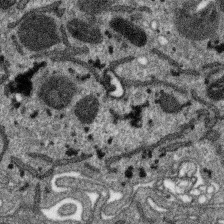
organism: Human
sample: Lung epithelial cells infected with SARS-CoV-2